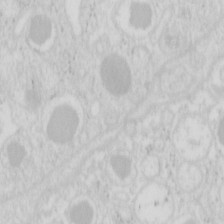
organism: Mouse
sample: Pancreas